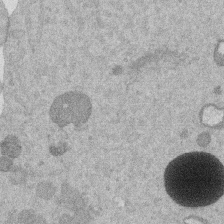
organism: Mouse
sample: Dividing mouse embryo 1 cell stage